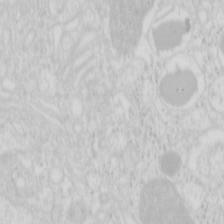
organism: Mouse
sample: Pancreas